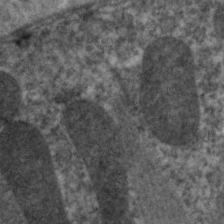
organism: C. elegans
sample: Pharynx